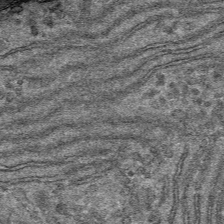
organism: Mouse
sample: Mouse hepatocytes